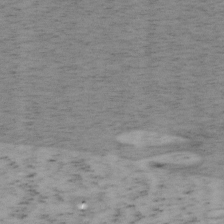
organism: Mouse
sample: OT-I killer T cells with ID8 ovarian cancer cells